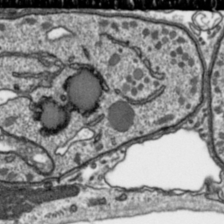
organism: Toxoplasma gondii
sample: Parasites in a vacuole inside a host cell